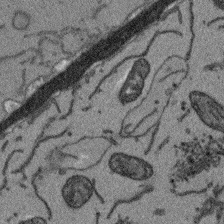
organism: Arabidopsis thaliana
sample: Root tip